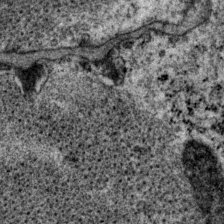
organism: P. pacificus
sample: Pharynx